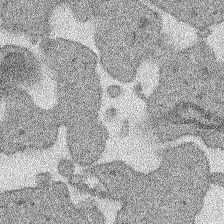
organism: Human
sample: HeLa cells